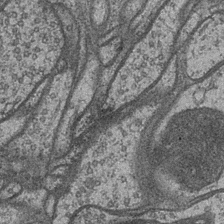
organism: Drosophila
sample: Optic medulla